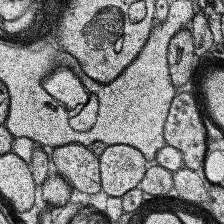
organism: Human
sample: Temporal Lobe